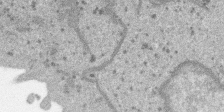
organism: Human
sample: Lung epithelial cells infected with SARS-CoV-2